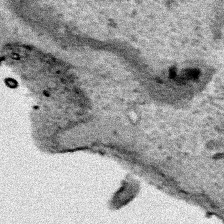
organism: Human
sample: Mitochondria in HCT116 cells